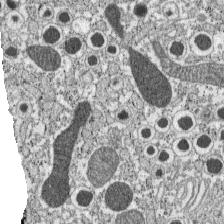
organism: C57BL Mouse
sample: Pancreatic islet